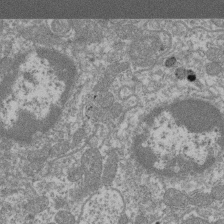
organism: Mouse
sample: Glomerulus